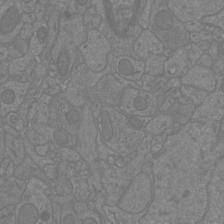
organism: Mouse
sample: Cortical neurons